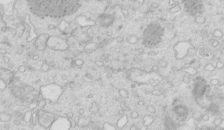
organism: Mouse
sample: Multiciliated cells